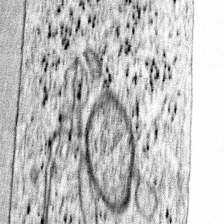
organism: Human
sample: HeLa cells